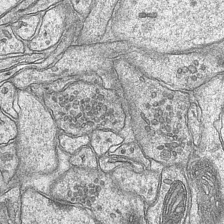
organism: Mouse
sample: CA1 Hippocampus